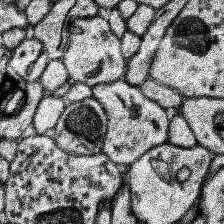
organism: Human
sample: Temporal Lobe